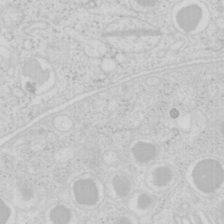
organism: Mouse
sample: Pancreas